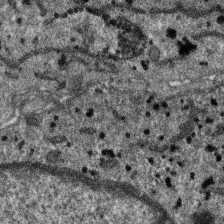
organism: Human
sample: Lung epithelial cells infected with SARS-CoV-2